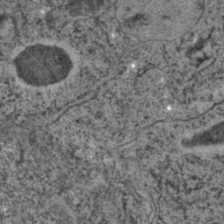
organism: C. elegans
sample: C. elegans embryo